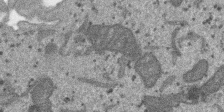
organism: Human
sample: Lung epithelial cells infected with SARS-CoV-2